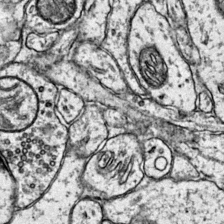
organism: Mouse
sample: Primary visual cortex